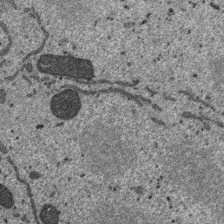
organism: Human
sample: Lung epithelial cells infected with SARS-CoV-2